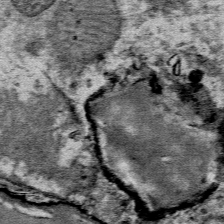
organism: Mouse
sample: Mouse Salivary gland